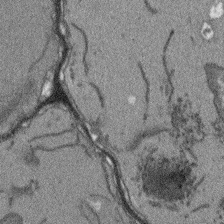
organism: Arabidopsis thaliana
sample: Root tip